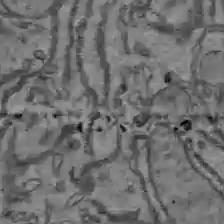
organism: C57BL Mouse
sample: Liver